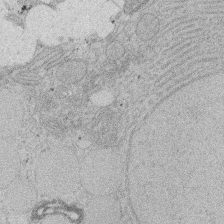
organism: Rat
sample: Salivary granule